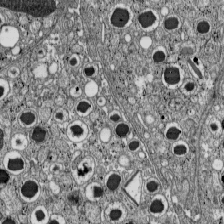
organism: C57BL Mouse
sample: Pancreatic islet